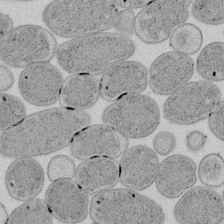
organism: E. coli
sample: Bacterial nucleoid